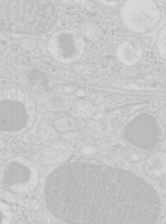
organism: Mouse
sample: Pancreas